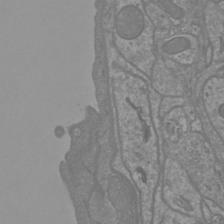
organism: Mouse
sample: Cortical neurons